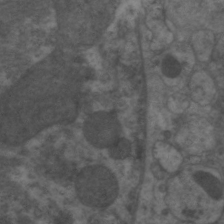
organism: C. elegans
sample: Pharynx